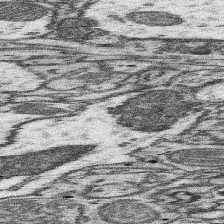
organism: Mouse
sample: Somatosensory cortex neuropil